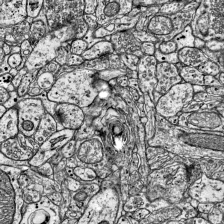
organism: Mouse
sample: Visual Cortex